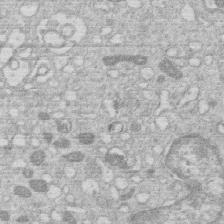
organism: Human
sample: Macrophage cells